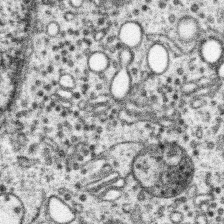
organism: Human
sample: HeLa cells